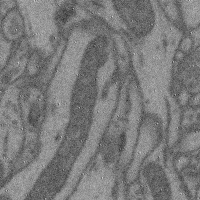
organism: Mouse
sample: Cerebral cortex